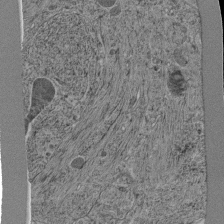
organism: C. elegans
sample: C. elegans pharynx